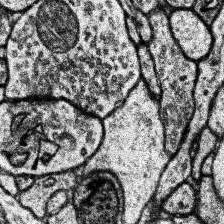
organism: Human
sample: Temporal Lobe